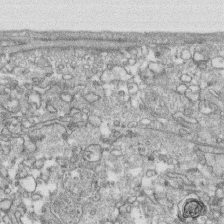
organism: Human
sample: CRL-1474